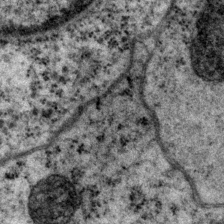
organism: P. pacificus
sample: Pharynx